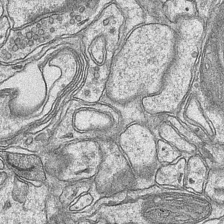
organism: Mouse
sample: CA1 Hippocampus